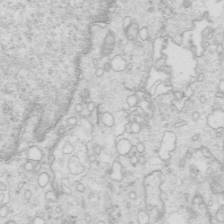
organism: Mouse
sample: Multiciliated cells